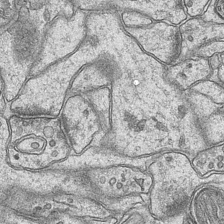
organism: Mouse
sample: CA1 Hippocampus